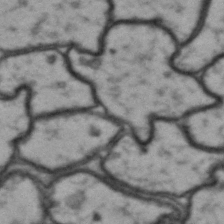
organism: Drosophila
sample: Brain